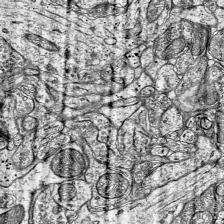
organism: Mouse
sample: Visual Cortex